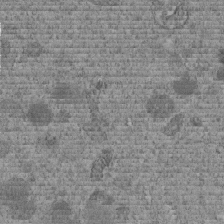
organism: C. elegans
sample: C. elegans embryo early stage